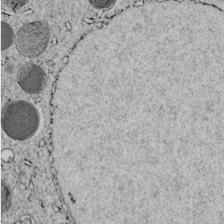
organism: C. elegans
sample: C. elegans embryo early stage